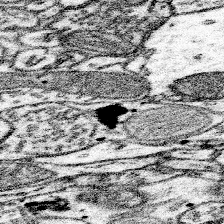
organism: Mouse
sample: Somatosensory cortex neuropil